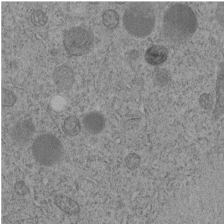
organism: C. elegans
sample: C. elegans embryo early stage